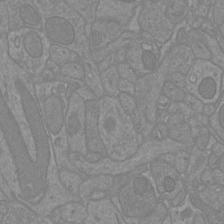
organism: Mouse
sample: Cortical neurons